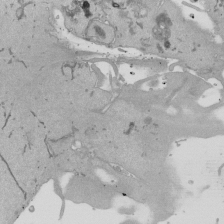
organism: Mouse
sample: ED-1 cell nuclei; centrioles